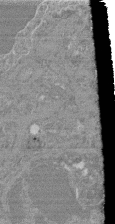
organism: Mouse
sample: Glomerulus